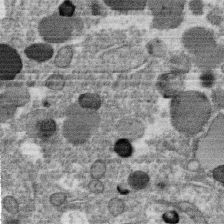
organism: C. elegans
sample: C. elegans oocyte; sperm cells